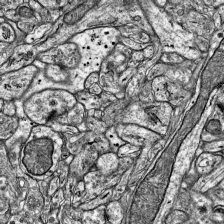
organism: Mouse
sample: Visual Cortex